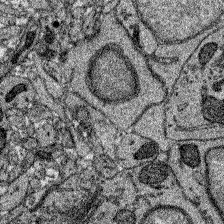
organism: Zebrafish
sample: Larval olfactory bulb